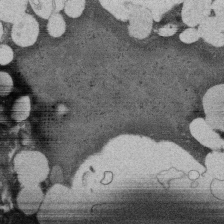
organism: Rat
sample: Salivary granule